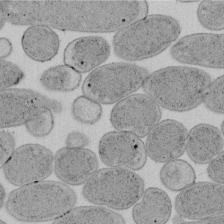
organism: E. coli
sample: Bacterial nucleoid